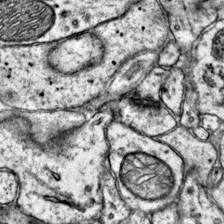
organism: Mouse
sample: Primary visual cortex